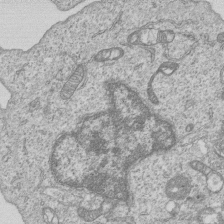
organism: Human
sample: MDA-MB-231 cells